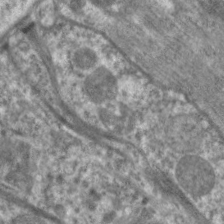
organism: C. elegans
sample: Pharynx